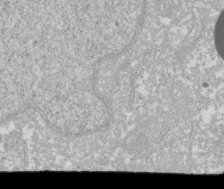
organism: Xenopus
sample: Cilia; centrioles in frog embryo cells